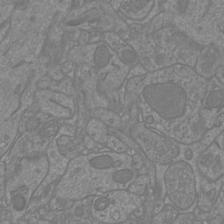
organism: Mouse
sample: Cortical neurons